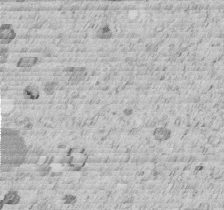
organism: C. elegans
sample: C. elegans embryo early stage